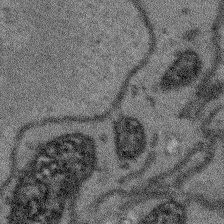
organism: Arabidopsis thaliana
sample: Root tip